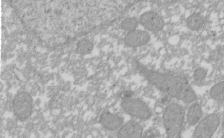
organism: Xenopus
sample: Cilia; centrioles in frog embryo cells